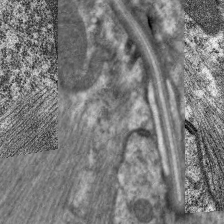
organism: C. elegans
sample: Pharynx